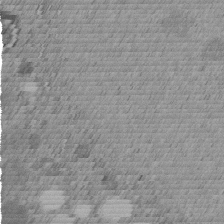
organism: C. elegans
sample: C. elegans embryo early stage